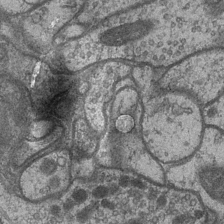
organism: Drosophila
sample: Optic medulla